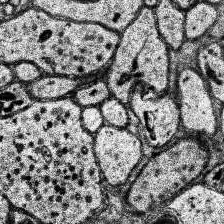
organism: Human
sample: Temporal Lobe